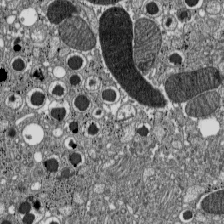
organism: C57BL Mouse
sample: Pancreatic islet